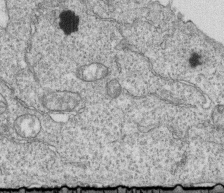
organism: Human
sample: HeLa cell HIV synapse